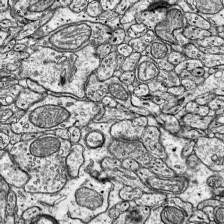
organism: Mouse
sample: Visual Cortex